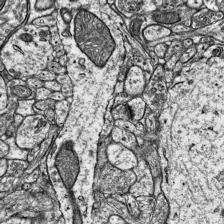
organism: Mouse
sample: Visual Cortex